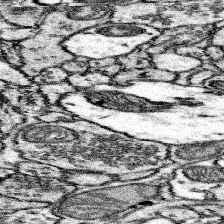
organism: Mouse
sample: Somatosensory cortex neuropil